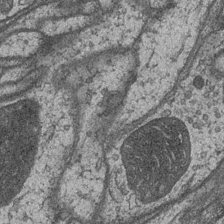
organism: Drosophila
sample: Optic medulla